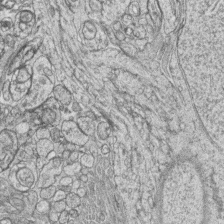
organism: Zebrafish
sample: synaptic ribbons in rod cells and cone cells